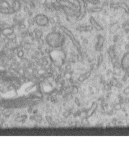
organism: Human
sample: Centriole in RPE cells